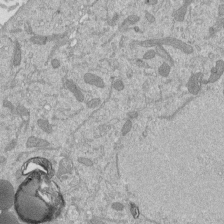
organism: Mouse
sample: ED-1 cell nuclei; centrioles